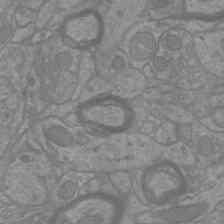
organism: Mouse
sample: Cortical neurons